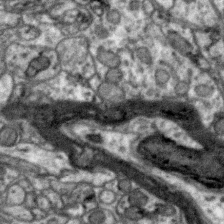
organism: Zebra finch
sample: Brain